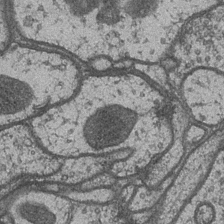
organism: Drosophila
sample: Optic medulla